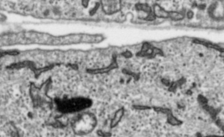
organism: Toxoplasma gondii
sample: Parasites in a vacuole inside a host cell